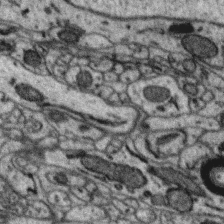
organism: Zebra finch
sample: Brain